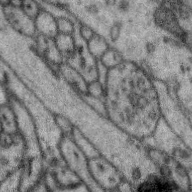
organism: Zebra finch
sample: Brain